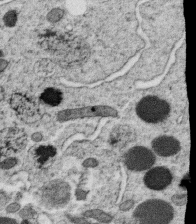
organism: C. elegans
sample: C. elegans oocyte; sperm cells